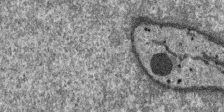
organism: Human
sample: Lung epithelial cells, uninfected (mock) control